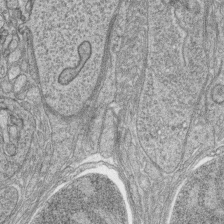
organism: Zebrafish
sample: synaptic ribbons in rod cells and cone cells